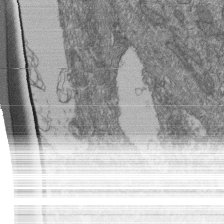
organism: Human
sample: Retinal organoid Rod and Cone cells